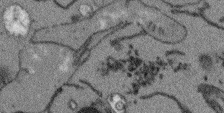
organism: Arabidopsis thaliana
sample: Root tip